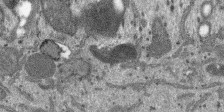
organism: Human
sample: Lung epithelial cells infected with SARS-CoV-2